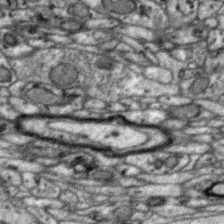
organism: Zebra finch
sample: Brain